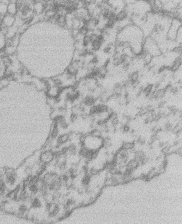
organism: Mouse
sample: T cell stromal cell synapse